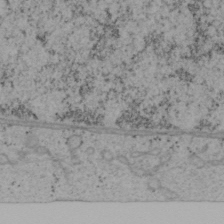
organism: Human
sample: HeLa cells